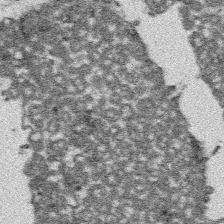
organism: Platynereis dumerilii